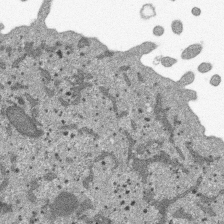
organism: Human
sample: Lung epithelial cells infected with SARS-CoV-2